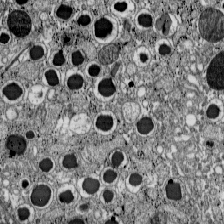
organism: C57BL Mouse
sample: Pancreatic islet